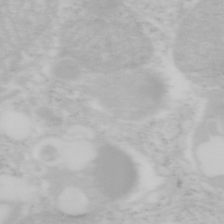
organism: Mouse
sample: OT-I killer T cells with ID8 ovarian cancer cells